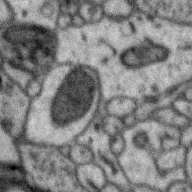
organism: Zebra finch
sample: Brain